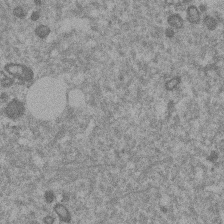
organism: Mouse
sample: Dividing mouse embryo 1 cell stage